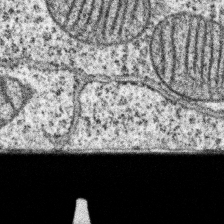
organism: Human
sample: HeLa cells